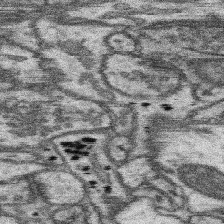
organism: Mouse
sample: Somatosensory cortex neuropil